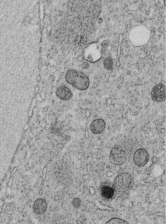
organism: C. elegans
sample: C. elegans embryo early stage